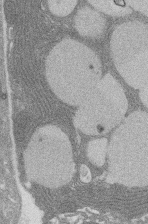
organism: Rat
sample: Salivary granule